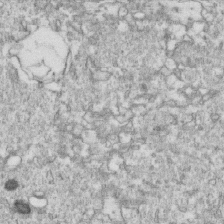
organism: Mouse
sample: Activated OT-1 CD8+ T cells